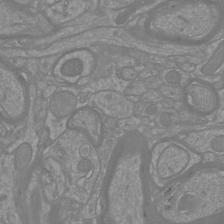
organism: Mouse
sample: Cortical neurons